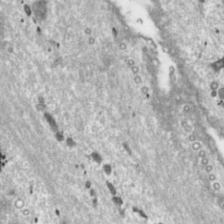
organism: Toxoplasma gondii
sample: Parasites in a vacuole inside a host cell